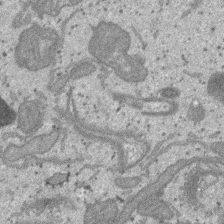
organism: Human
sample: Lung epithelial cells infected with SARS-CoV-2